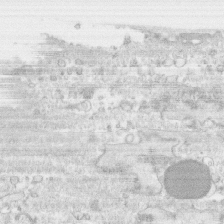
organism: Human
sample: CRL-1474